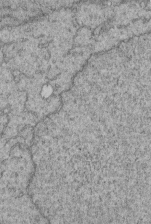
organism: Human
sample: Retinal organoid Rod and Cone cells